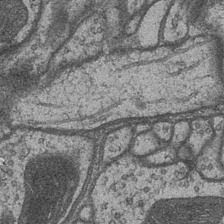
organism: Drosophila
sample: Optic medulla